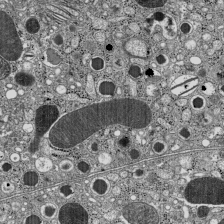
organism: C57BL Mouse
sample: Pancreatic islet